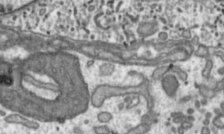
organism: Toxoplasma gondii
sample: Parasites in a vacuole inside a host cell